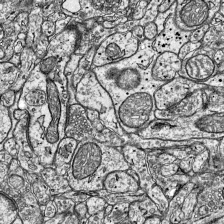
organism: Mouse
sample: Visual Cortex